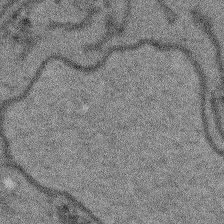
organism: Arabidopsis thaliana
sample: Root tip